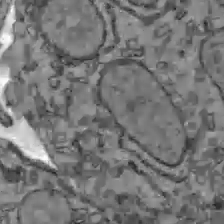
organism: C57BL Mouse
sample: Liver